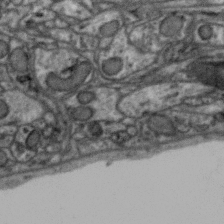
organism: Zebra finch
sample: Brain